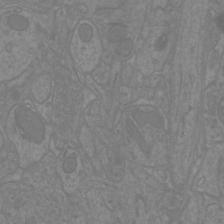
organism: Mouse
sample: Cortical neurons